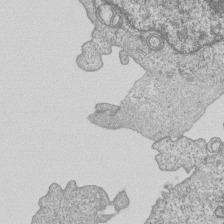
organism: Human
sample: MDA-MB-231 cells